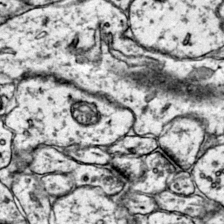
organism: Mouse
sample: Primary visual cortex